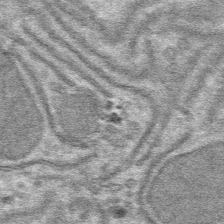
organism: Mouse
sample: Mouse hepatocytes